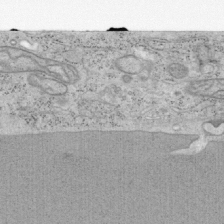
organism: Human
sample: HeLa cells